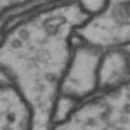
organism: Drosophila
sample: Brain